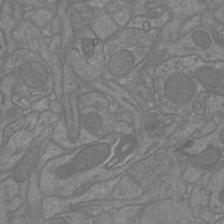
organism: Mouse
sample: Cortical neurons